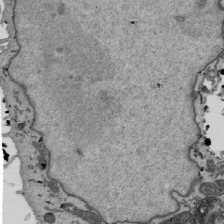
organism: Mouse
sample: ED-1 cell nuclei; centrioles